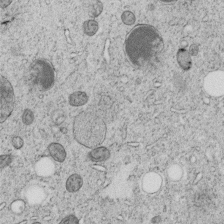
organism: C. elegans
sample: C. elegans embryo early stage